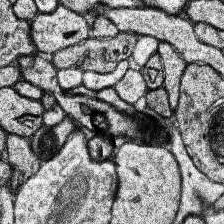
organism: Human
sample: Temporal Lobe